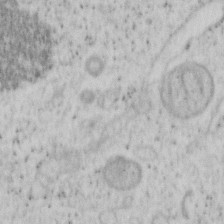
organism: Human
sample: HeLa cells